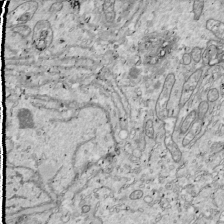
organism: Drosophila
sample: Cell division; meiosis; drosophila spermatocytes